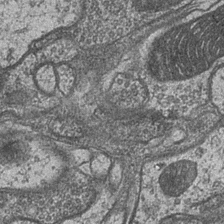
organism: Drosophila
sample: Optic medulla